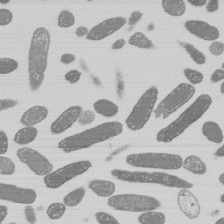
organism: E. coli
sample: Bacterial nucleoid